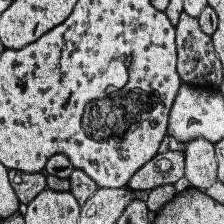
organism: Human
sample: Temporal Lobe